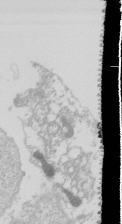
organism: Drosophila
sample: Cell division; meiosis; drosophila spermatocytes